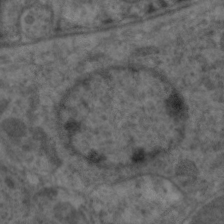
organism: C. elegans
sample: Pharynx